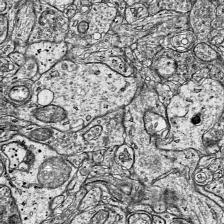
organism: Mouse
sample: Visual Cortex